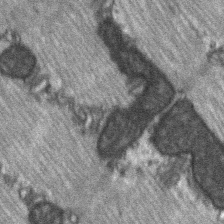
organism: C57BL Mouse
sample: Soleus